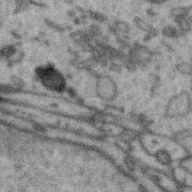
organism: Zebra finch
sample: Brain